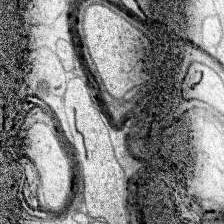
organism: Human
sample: Temporal Lobe